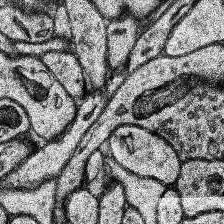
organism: Human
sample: Temporal Lobe